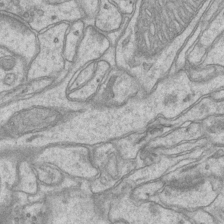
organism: Mouse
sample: CA1 Hippocampus